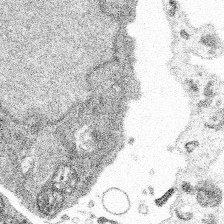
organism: Spongilla lacustris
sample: Multiple